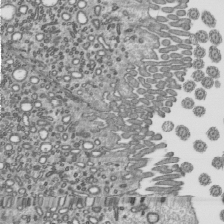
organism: Mouse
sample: Mouse epididymis efferent ductule cilia